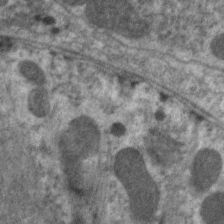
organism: C. elegans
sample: Pharynx